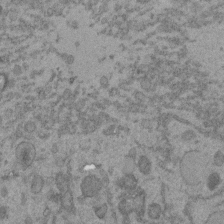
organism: C. elegans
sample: C. elegans embryo early stage